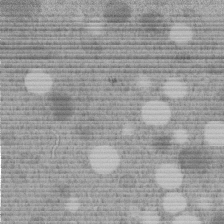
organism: C. elegans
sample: C. elegans embryo early stage